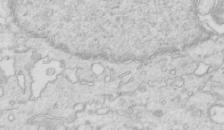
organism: Mouse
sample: Multiciliated cells